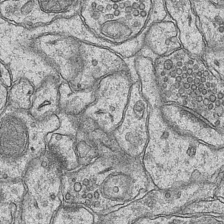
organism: Mouse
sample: CA1 Hippocampus